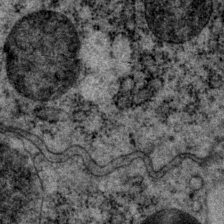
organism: P. pacificus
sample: Pharynx